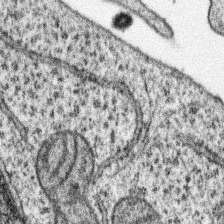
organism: Human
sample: HeLa cells